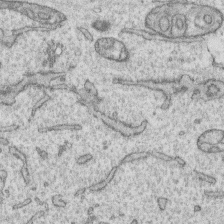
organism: Human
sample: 1205lu cells